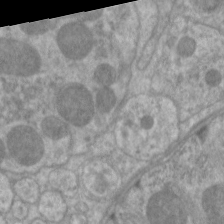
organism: C. elegans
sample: Pharynx